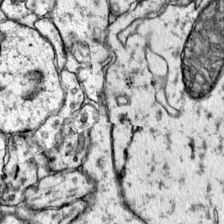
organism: Mouse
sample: Primary visual cortex